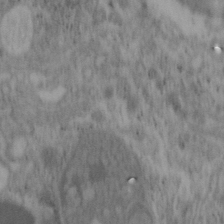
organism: Mouse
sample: OT-I killer T cells with ID8 ovarian cancer cells